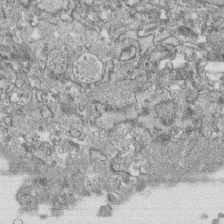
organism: Human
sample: CRL-1474